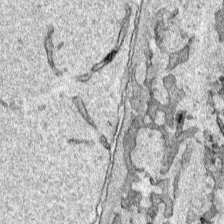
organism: Human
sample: Mitochondria in HCT116 cells